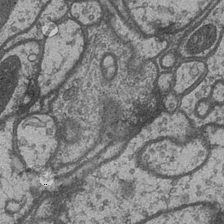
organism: Drosophila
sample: Optic medulla